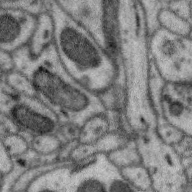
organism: Zebra finch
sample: Brain